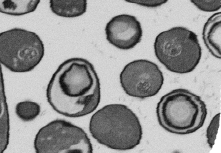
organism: B. subtilis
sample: Bacterial spore